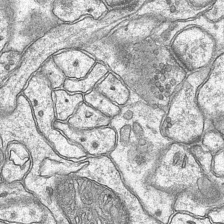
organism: Mouse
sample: CA1 Hippocampus